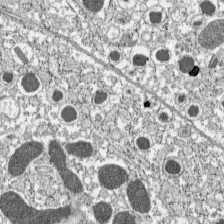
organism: C57BL Mouse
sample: Pancreatic islet